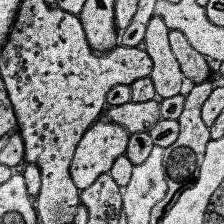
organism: Human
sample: Temporal Lobe